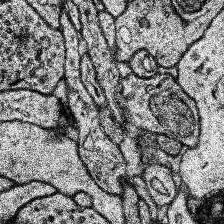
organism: Human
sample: Temporal Lobe